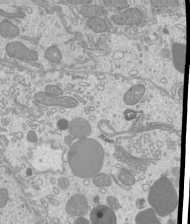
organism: Mouse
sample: Cilia; mouse epididymis